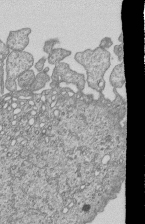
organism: Human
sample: MDA-MB-231 cells